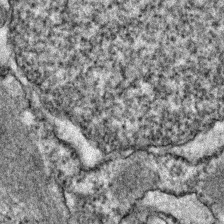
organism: Zebrafish